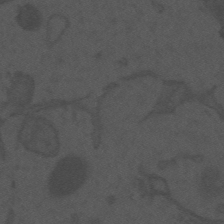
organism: Mouse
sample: Suprachiasmatic nucleus